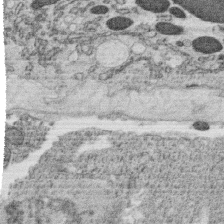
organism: C. elegans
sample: C. elegans oocyte; sperm cells